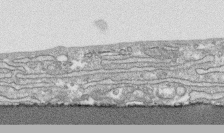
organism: Human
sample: CRL-1474